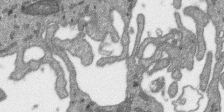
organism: Human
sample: Lung epithelial cells infected with SARS-CoV-2